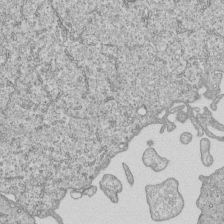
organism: Human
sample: MDA-MB-231 cells